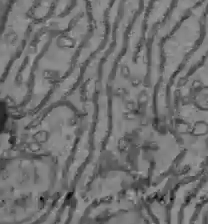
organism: C57BL Mouse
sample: Liver